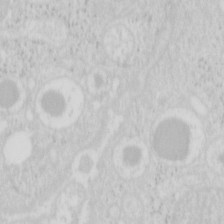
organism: Mouse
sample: Pancreas